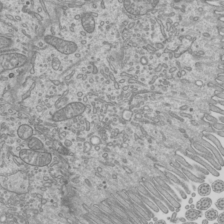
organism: Mouse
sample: Cilia; mouse epididymis